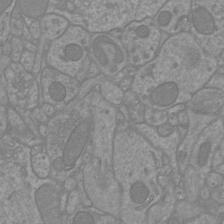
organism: Mouse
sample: Cortical neurons